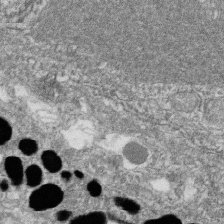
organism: Zebrafish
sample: Cilia; retinal pigment epithelium